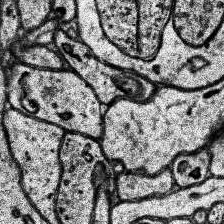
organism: Human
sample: Temporal Lobe